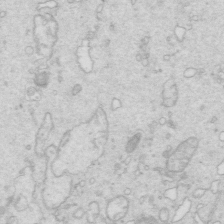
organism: Mouse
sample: Multiciliated cells